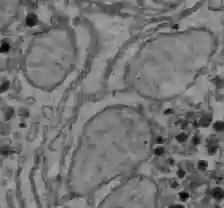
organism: C57BL Mouse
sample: Liver